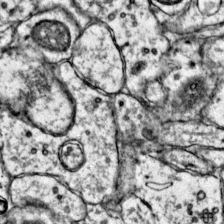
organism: Mouse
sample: Primary visual cortex